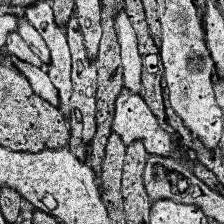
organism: Human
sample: Temporal Lobe